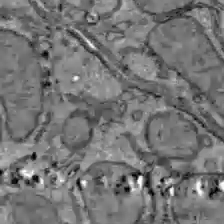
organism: C57BL Mouse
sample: Liver